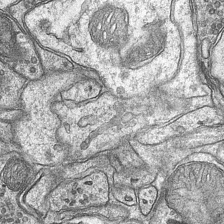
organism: Mouse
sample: CA1 Hippocampus